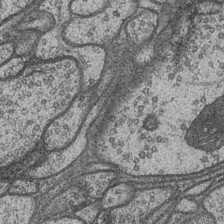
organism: Drosophila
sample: Optic medulla